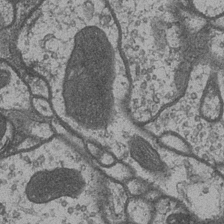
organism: Drosophila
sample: Optic medulla